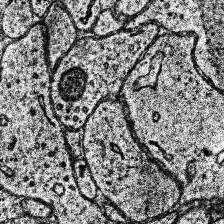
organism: Human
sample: Temporal Lobe